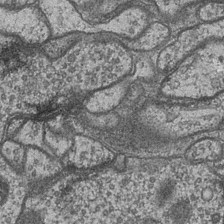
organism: Drosophila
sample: Optic medulla